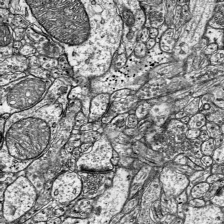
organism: Mouse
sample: Visual Cortex